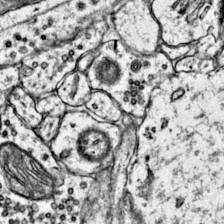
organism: Mouse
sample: Primary visual cortex